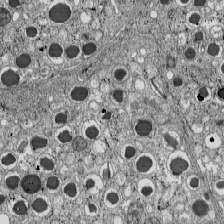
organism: C57BL Mouse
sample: Pancreatic islet